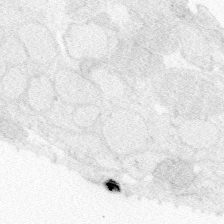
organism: Zebrafish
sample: Whole-Brain